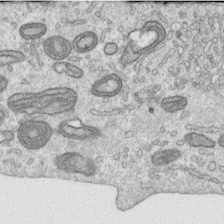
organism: Human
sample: Centriole in RPE cells